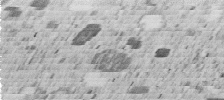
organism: C. elegans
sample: C. elegans embryo early stage